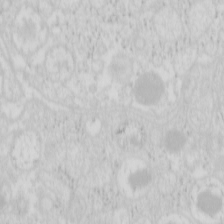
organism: Mouse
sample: Pancreas